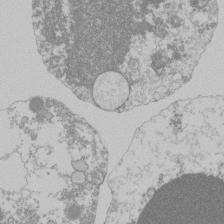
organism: Mouse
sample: Activated Pmel transgenic CD8+ T Cells